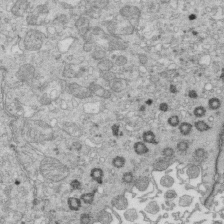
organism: Mouse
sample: Multiciliated cells